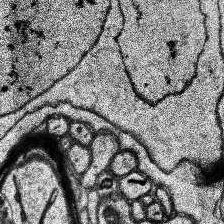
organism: Human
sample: Temporal Lobe